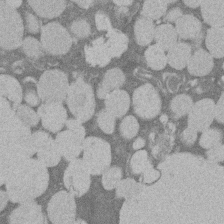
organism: Rat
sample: Salivary granule